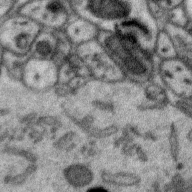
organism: Zebra finch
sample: Brain